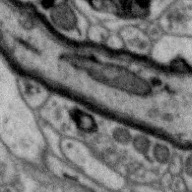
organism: Zebra finch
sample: Brain